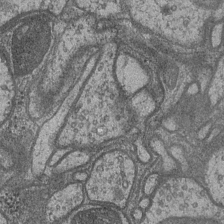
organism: Drosophila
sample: Optic medulla